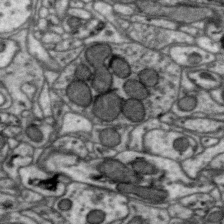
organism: Zebra finch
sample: Brain